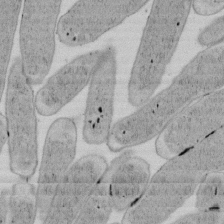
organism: E. coli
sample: Bacterial nucleoid